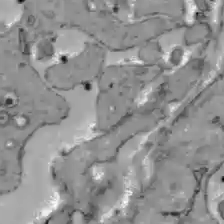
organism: C57BL Mouse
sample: Liver